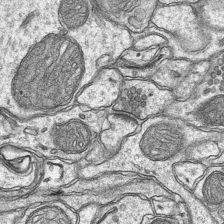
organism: Mouse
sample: CA1 Hippocampus